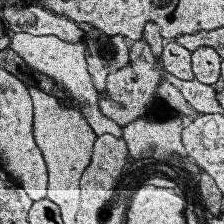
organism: Human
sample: Temporal Lobe